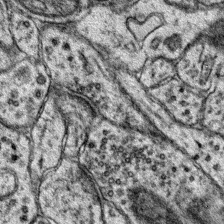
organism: Mouse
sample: Primary visual cortex